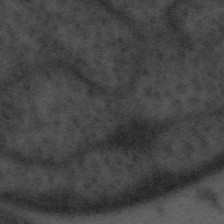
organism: Tuwongella immobilis